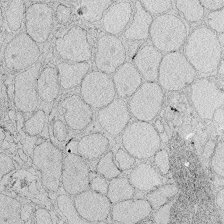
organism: Zebrafish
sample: Whole-Brain